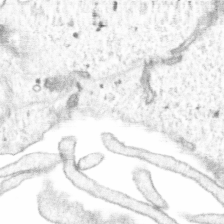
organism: Human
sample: HeLa cells